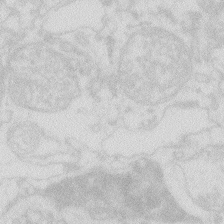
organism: Zebrafish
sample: Macrophage